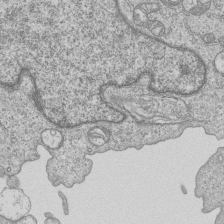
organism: Human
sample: MDA-MB-231 cells